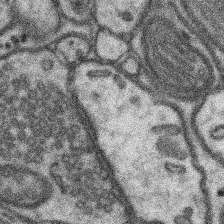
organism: Mouse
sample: Somatosensory cortex neuropil